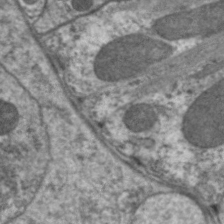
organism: C. elegans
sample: Pharynx